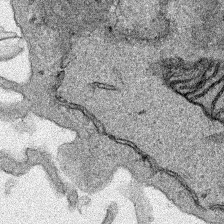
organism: Human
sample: Mitochondria in HCT116 cells